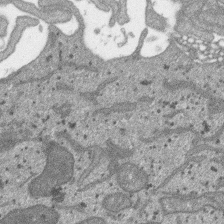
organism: Human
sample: Lung epithelial cells infected with SARS-CoV-2